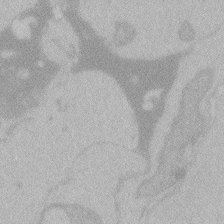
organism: Zebrafish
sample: Macrophage infected with Toxoplasma gondii